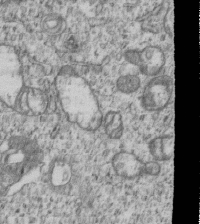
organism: Human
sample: MDA-MB-231 cells